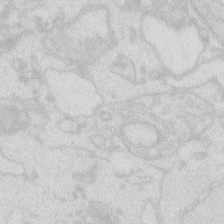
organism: Zebrafish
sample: Macrophage